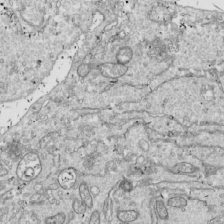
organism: Drosophila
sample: Cell division; meiosis; drosophila spermatocytes